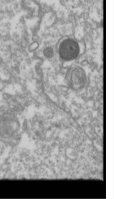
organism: Drosophila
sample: Cell division; meiosis; drosophila spermatocytes